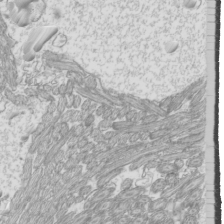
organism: Mouse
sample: Cilia; mouse epididymis